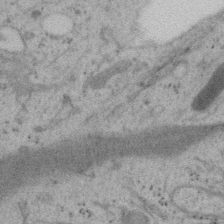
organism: Human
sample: HeLa cells